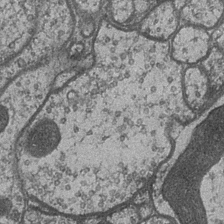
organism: Drosophila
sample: Optic medulla